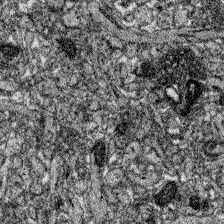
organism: Zebrafish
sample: Larval olfactory bulb